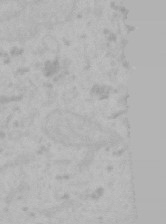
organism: Mouse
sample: Choroid plexus